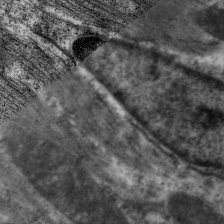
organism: C. elegans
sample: Pharynx